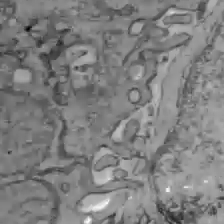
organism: C57BL Mouse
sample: Liver